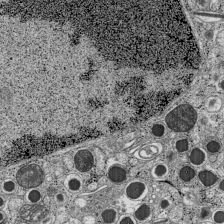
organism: C57BL Mouse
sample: Pancreatic islet